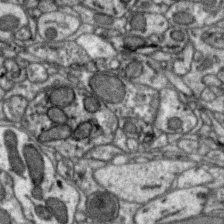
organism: Zebra finch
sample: Brain